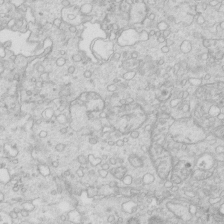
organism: Mouse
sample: Multiciliated cells